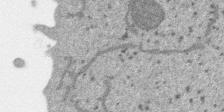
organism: Human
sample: Lung epithelial cells infected with SARS-CoV-2